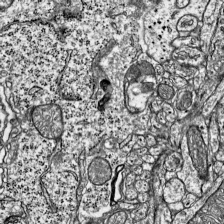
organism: Mouse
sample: Visual Cortex